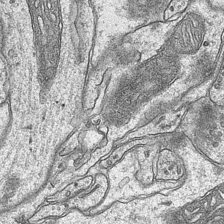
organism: Mouse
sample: CA1 Hippocampus